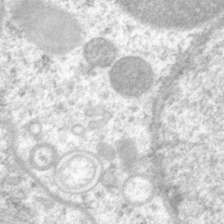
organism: P. pacificus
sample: Pharynx